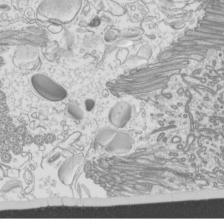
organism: Mouse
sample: Cilia; mouse epididymis